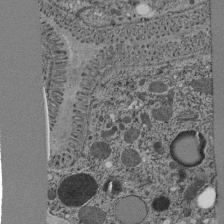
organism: C. elegans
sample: C. elegans pharynx